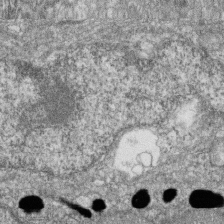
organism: Zebrafish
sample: Cilia; retinal pigment epithelium